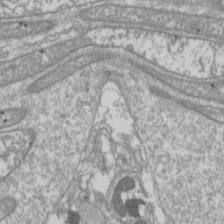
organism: Drosophila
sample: Cell division; meiosis; drosophila spermatocytes